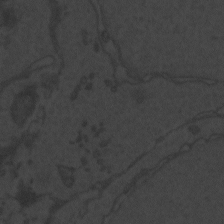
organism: Zebrafish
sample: Macrophage infected with Toxoplasma gondii